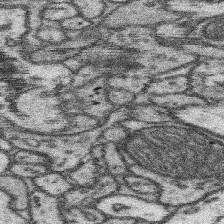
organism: Mouse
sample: Somatosensory cortex neuropil